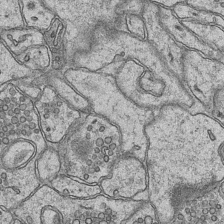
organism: Mouse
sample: CA1 Hippocampus